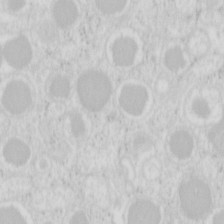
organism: Mouse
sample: Pancreas